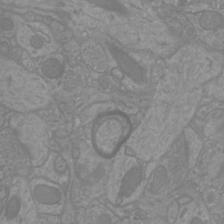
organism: Mouse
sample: Cortical neurons